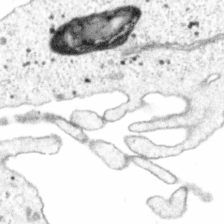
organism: Human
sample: HeLa cells